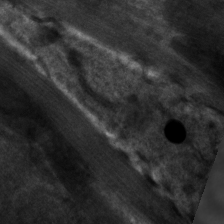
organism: C. elegans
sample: Pharynx